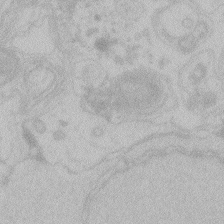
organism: Zebrafish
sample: Macrophage infected with Toxoplasma gondii